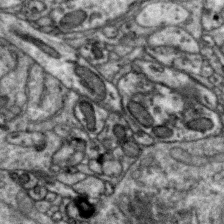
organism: Zebra finch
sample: Brain